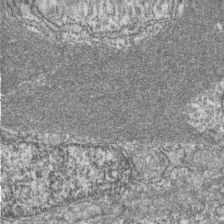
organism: Zebrafish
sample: Cilia; retinal pigment epithelium